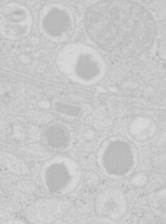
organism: Mouse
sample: Pancreas